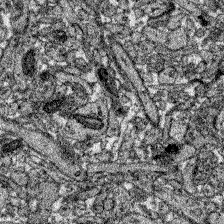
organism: Zebrafish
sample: Larval olfactory bulb